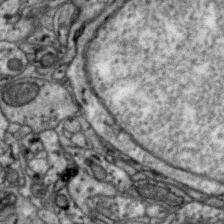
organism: Zebra finch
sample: Brain